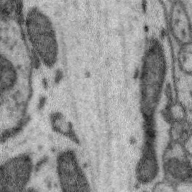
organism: Zebra finch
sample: Brain